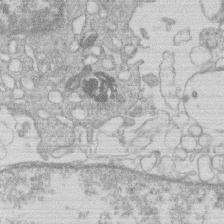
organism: Human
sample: Macrophage cells